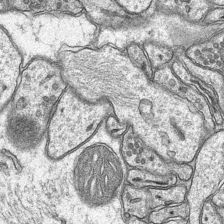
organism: Mouse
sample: CA1 Hippocampus